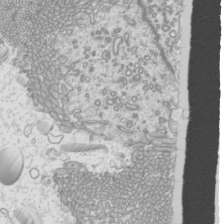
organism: Mouse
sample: Cilia; mouse epididymis